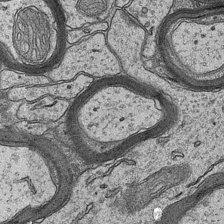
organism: Mouse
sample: CA1 Hippocampus